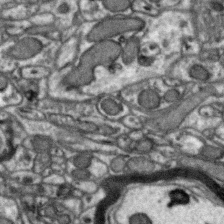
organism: Zebra finch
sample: Brain